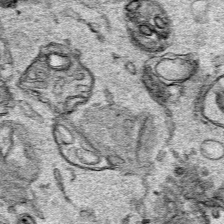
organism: Human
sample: Mitochondria in HCT116 cells